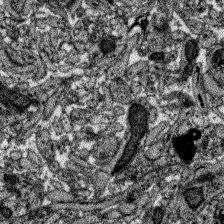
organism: Zebrafish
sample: Larval olfactory bulb